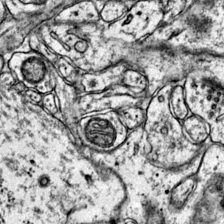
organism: Mouse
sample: Primary visual cortex